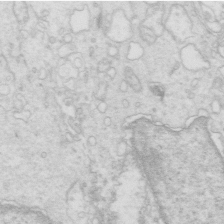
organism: Mouse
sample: Multiciliated cells